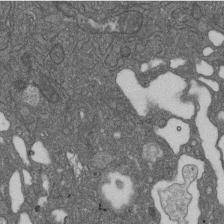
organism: Drosophila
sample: Nephrocyte